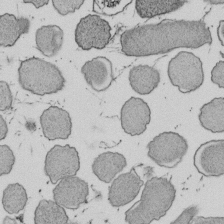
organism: E. coli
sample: Bacterial nucleoid